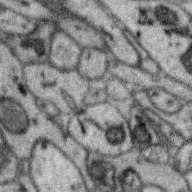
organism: Zebra finch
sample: Brain